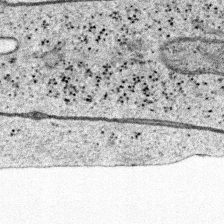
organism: Human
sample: HeLa cells